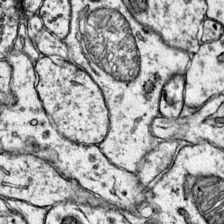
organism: Mouse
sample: Primary visual cortex